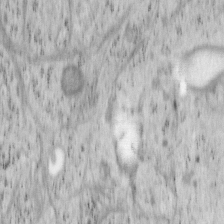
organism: Human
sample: HeLa cells